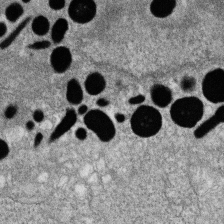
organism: Zebrafish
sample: Cilia; retinal pigment epithelium